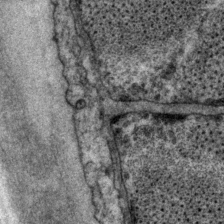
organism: P. pacificus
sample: Pharynx